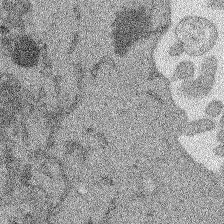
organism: Human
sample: HeLa cells